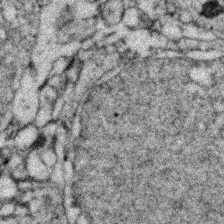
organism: Zebrafish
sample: Zebrafish embryo